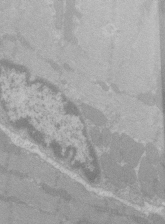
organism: C57BL Mouse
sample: Tibialis anterior muscle cell